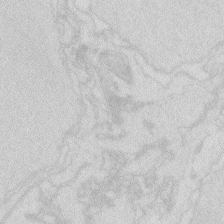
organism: Zebrafish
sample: Macrophage